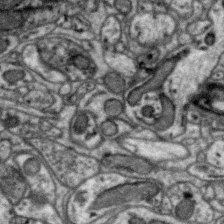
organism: Zebra finch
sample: Brain